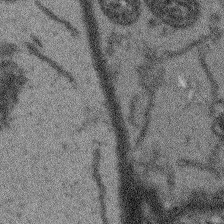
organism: Arabidopsis thaliana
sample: Root tip